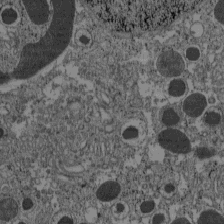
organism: C57BL Mouse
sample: Pancreatic islet